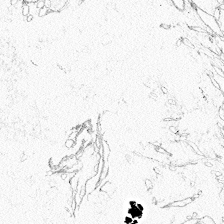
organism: Zebrafish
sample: Whole-Brain